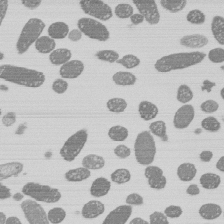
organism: E. coli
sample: Bacterial nucleoid